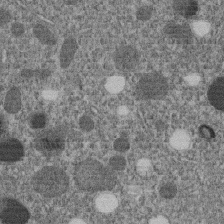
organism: C. elegans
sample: C. elegans embryo early stage